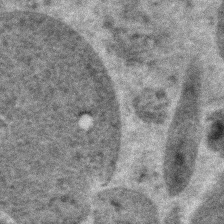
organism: Zebrafish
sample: Zebrafish embryo